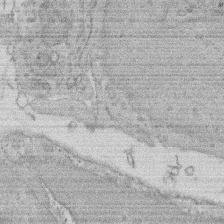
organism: Rat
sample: Salivary granule